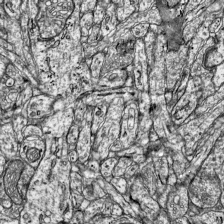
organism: Mouse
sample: Visual Cortex